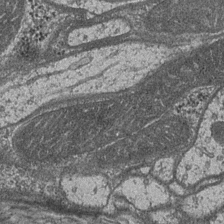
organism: Drosophila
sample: Optic medulla